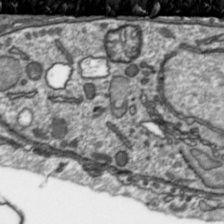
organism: Toxoplasma gondii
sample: Parasites in a vacuole inside a host cell